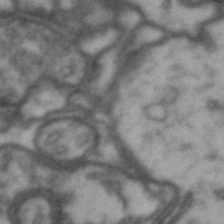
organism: Drosophila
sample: Brain